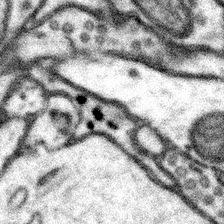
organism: Mouse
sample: Somatosensory cortex neuropil